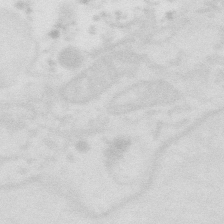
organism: Human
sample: HeLa cells